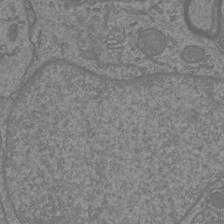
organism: Mouse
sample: Cortical neurons